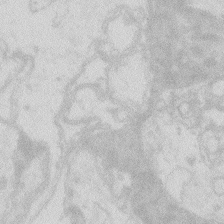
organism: Zebrafish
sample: Macrophage